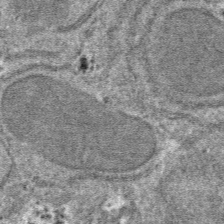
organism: Mouse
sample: Mouse hepatocytes